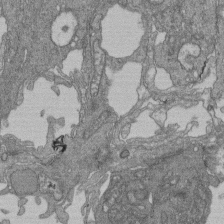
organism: Human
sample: Retinal organoid Rod and Cone cells